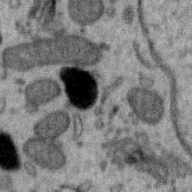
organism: Zebra finch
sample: Brain